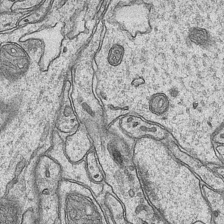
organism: Mouse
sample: CA1 Hippocampus